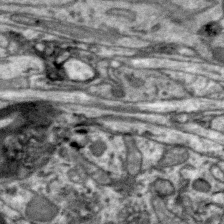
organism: Zebra finch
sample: Brain